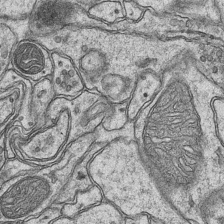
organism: Mouse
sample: CA1 Hippocampus